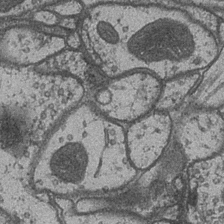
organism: Drosophila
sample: Optic medulla